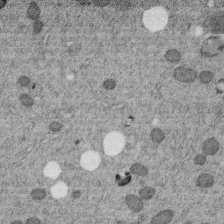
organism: C. elegans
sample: C. elegans embryo early stage